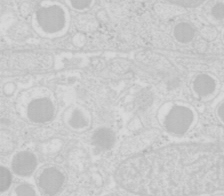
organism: Mouse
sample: Pancreas